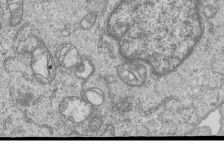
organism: Human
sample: MDA-MB-231 cells